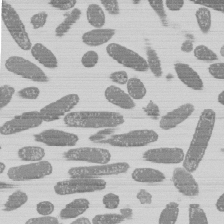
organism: E. coli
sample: Bacterial nucleoid